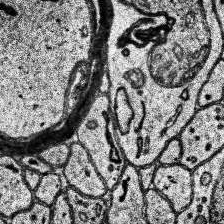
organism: Human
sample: Temporal Lobe